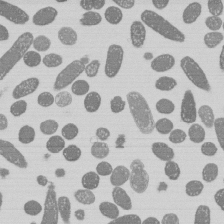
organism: E. coli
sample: Bacterial nucleoid